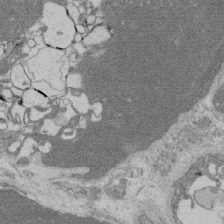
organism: Rat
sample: Salivary granule